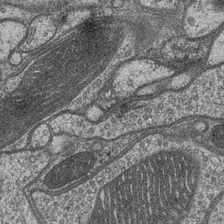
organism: Drosophila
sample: Optic medulla